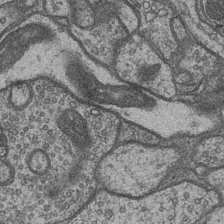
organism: Drosophila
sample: Optic medulla